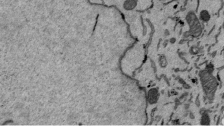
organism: Mouse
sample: ED-1 cell nuclei; centrioles